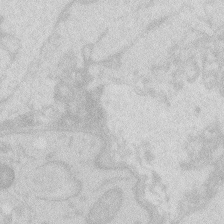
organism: Zebrafish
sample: Macrophage